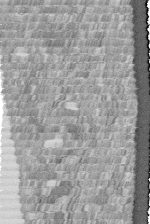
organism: Human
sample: Centriole in fibroblast cells